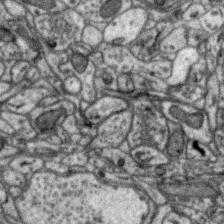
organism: Zebra finch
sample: Brain